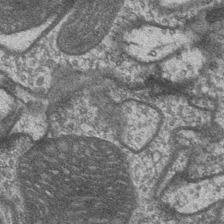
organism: Drosophila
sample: Optic medulla